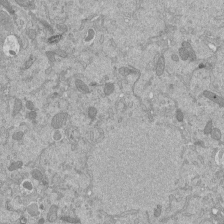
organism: Mouse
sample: ED-1 cell nuclei; centrioles